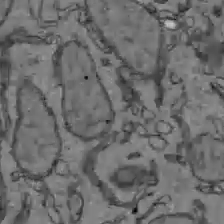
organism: C57BL Mouse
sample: Liver